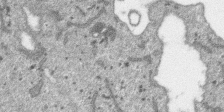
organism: Human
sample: Lung epithelial cells infected with SARS-CoV-2